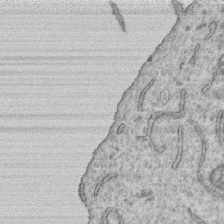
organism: Human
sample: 1205lu cells